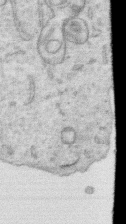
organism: Human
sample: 1205lu cells